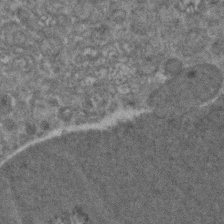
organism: Zebrafish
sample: Zebrafish embryo